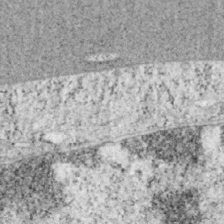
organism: Mouse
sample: OT-I killer T cells with ID8 ovarian cancer cells